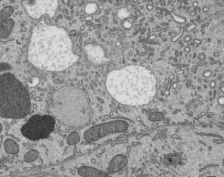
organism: Mouse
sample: Mouse epididymis efferent ductule cilia